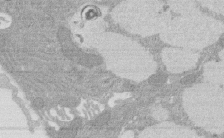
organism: Rat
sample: Salivary granule